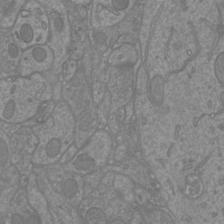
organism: Mouse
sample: Cortical neurons